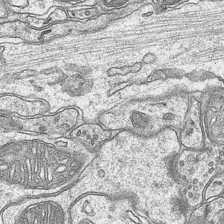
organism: Mouse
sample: CA1 Hippocampus